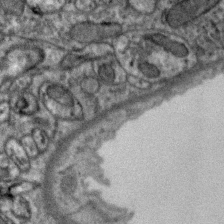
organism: Zebra finch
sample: Brain